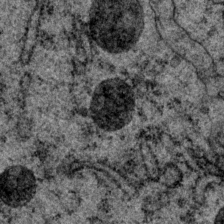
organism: P. pacificus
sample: Pharynx